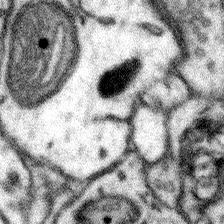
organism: Mouse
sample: Somatosensory cortex neuropil